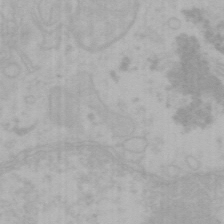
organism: Mouse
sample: Choroid plexus